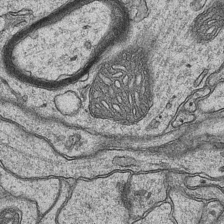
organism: Mouse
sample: CA1 Hippocampus